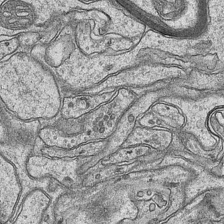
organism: Mouse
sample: CA1 Hippocampus